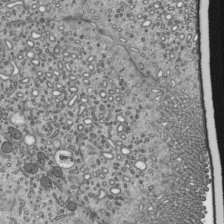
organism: Mouse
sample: Mouse epididymis efferent ductule cilia